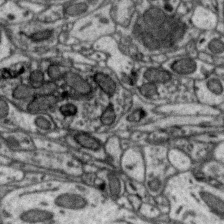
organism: Zebra finch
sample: Brain